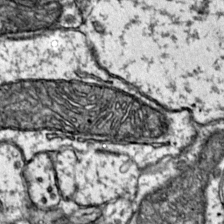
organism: Mouse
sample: Primary visual cortex